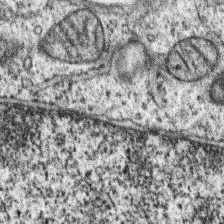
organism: Human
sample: HeLa cells